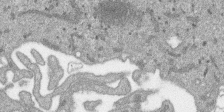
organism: Human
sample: Lung epithelial cells infected with SARS-CoV-2